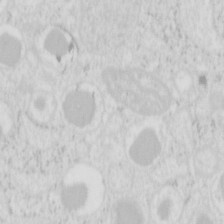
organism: Mouse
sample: Pancreas